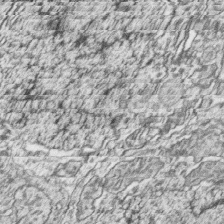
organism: Zebrafish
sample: synaptic ribbons in rod cells and cone cells